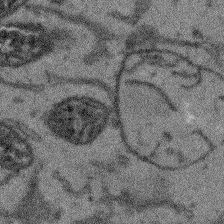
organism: Arabidopsis thaliana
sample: Root tip